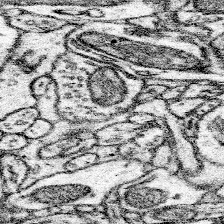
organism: Mouse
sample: Somatosensory cortex neuropil